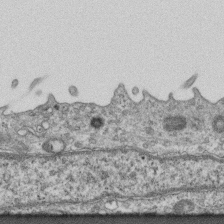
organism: Mouse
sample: Centriole in ependymal cells